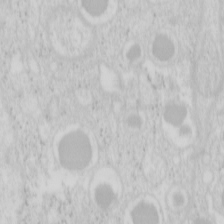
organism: Mouse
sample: Pancreas